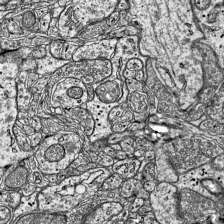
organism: Mouse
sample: Visual Cortex